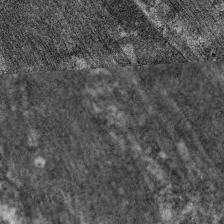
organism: C. elegans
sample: Pharynx